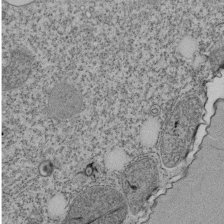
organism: Tetrahymena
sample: Cilia in tetrahymena